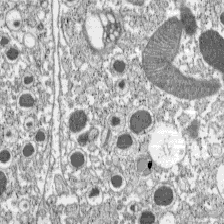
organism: C57BL Mouse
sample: Pancreatic islet